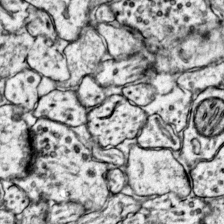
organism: Mouse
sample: Primary visual cortex